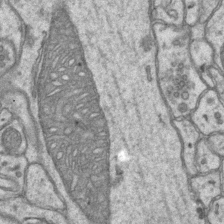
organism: Mouse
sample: CA1 Hippocampus